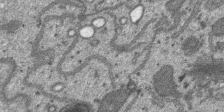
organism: Human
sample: Lung epithelial cells infected with SARS-CoV-2